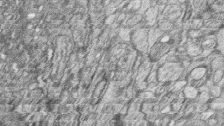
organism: Zebrafish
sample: synaptic ribbons in rod cells and cone cells